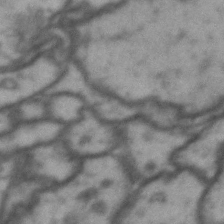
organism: Drosophila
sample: Brain